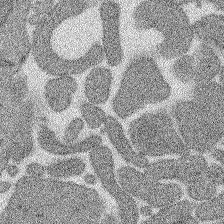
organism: Human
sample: HeLa cells